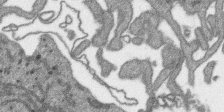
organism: Human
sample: Lung epithelial cells infected with SARS-CoV-2